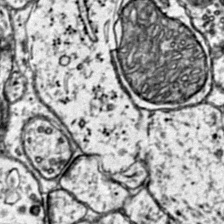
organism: Mouse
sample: Primary visual cortex